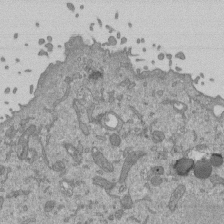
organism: Mouse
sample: ED-1 cell nuclei; centrioles